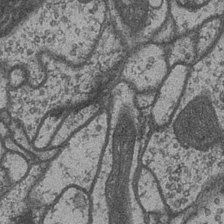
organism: Drosophila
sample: Optic medulla